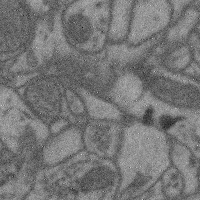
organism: Mouse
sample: Cerebral cortex